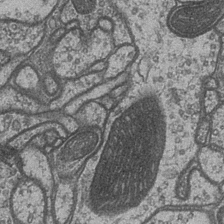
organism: Drosophila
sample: Optic medulla